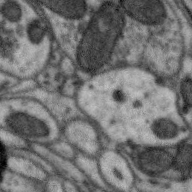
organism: Zebra finch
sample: Brain